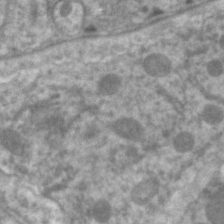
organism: C. elegans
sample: Pharynx